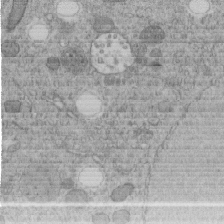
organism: C. elegans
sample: C. elegans embryo early stage